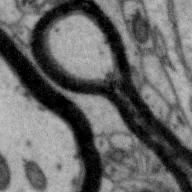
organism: Zebra finch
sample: Brain